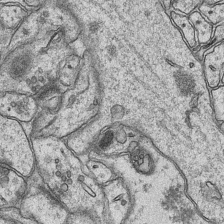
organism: Mouse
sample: CA1 Hippocampus